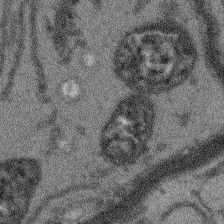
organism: Arabidopsis thaliana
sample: Root tip